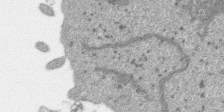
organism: Human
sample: Lung epithelial cells infected with SARS-CoV-2